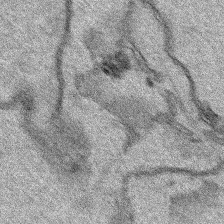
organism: Human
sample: Mitochondria in HCT116 cells